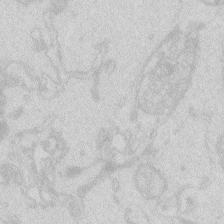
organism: Zebrafish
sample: Macrophage